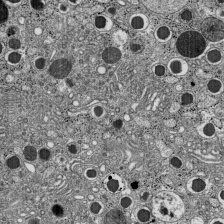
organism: C57BL Mouse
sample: Pancreatic islet